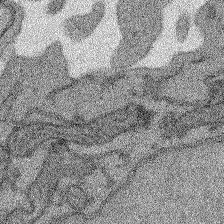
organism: Human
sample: HeLa cells